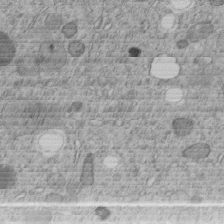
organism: C. elegans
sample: C. elegans embryo early stage